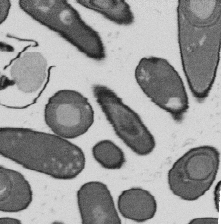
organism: B. subtilis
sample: Bacterial spore